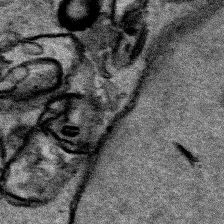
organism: Human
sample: Mitochondria in HCT116 cells